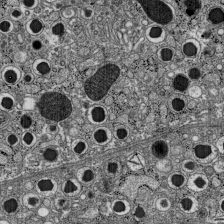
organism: C57BL Mouse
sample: Pancreatic islet